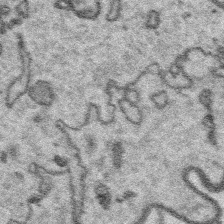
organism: Platynereis dumerilii